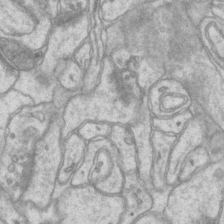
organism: Mouse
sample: CA1 Hippocampus